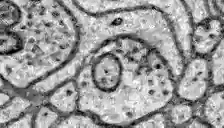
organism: Zebrafish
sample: Brain